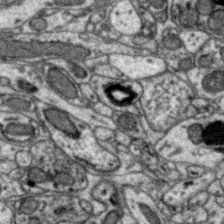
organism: Zebra finch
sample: Brain